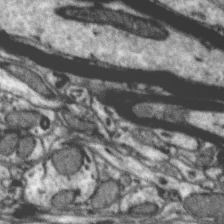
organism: Zebra finch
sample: Brain